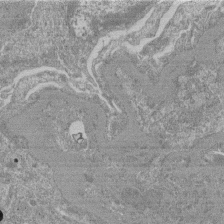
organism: Mouse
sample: Glomerulus